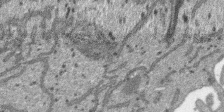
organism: Human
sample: Lung epithelial cells infected with SARS-CoV-2